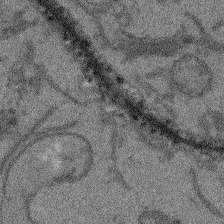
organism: Arabidopsis thaliana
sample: Root tip